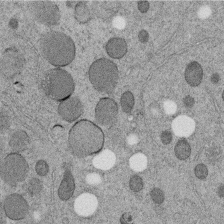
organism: C. elegans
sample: C. elegans embryo early stage